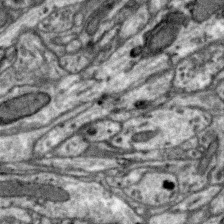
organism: Zebra finch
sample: Brain